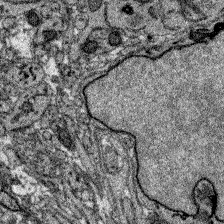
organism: Zebrafish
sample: Larval olfactory bulb